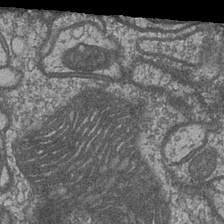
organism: Drosophila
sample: Optic medulla